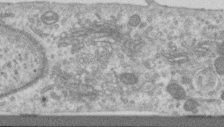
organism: Human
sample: Centriole in RPE cells